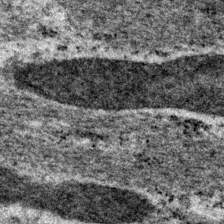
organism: P. pacificus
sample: Pharynx